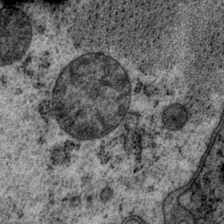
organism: P. pacificus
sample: Pharynx